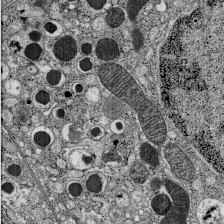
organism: C57BL Mouse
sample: Pancreatic islet